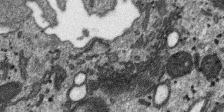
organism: Human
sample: Lung epithelial cells infected with SARS-CoV-2